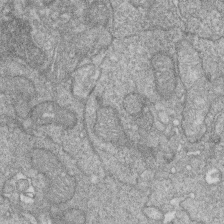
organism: Zebrafish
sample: Cilia; retinal pigment epithelium